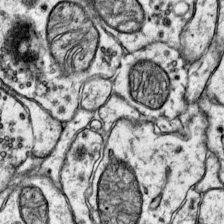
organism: Mouse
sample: Primary visual cortex